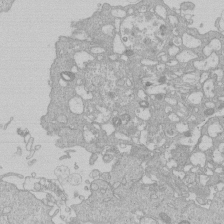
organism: Human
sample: Macrophage cells